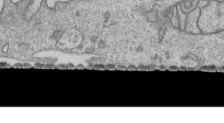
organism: Human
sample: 1205lu cells